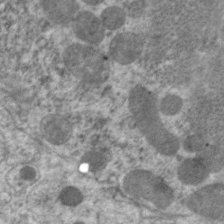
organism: C. elegans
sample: Pharynx